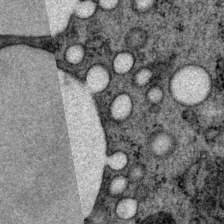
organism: P. pacificus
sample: Pharynx